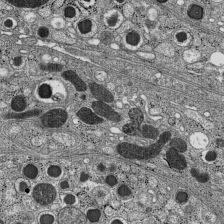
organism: C57BL Mouse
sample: Pancreatic islet